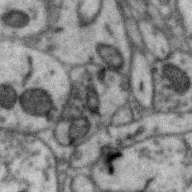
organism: Zebra finch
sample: Brain